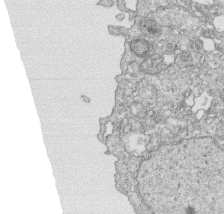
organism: Human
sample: HeLa cell HIV synapse